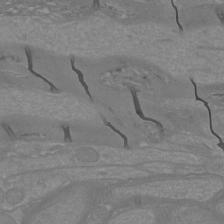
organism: Mouse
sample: Cortical neurons